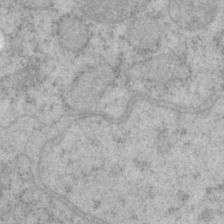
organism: P. pacificus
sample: Pharynx